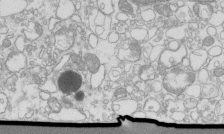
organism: Mouse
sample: Macrophages